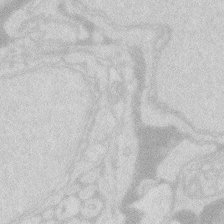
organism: Zebrafish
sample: Macrophage